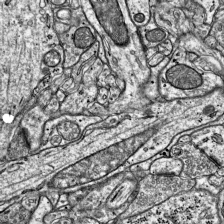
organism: Mouse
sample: Visual Cortex